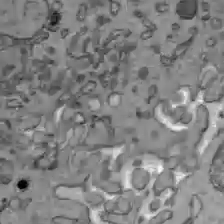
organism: C57BL Mouse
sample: Liver